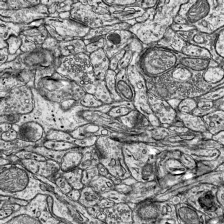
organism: Mouse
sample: Visual Cortex